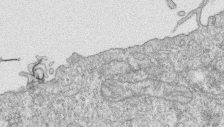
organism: Human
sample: HeLa cell HIV synapse